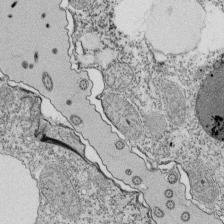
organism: Tetrahymena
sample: Cilia in tetrahymena